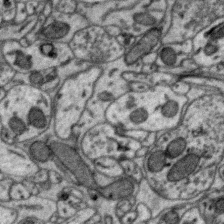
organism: Zebra finch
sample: Brain